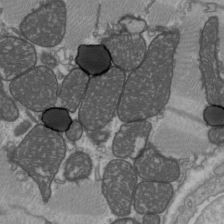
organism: C57BL Mouse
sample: Heart